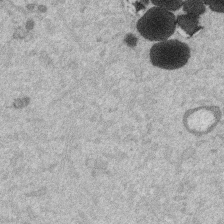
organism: Mouse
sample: Dividing mouse embryo 1 cell stage